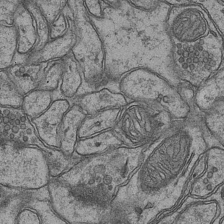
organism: Mouse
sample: CA1 Hippocampus